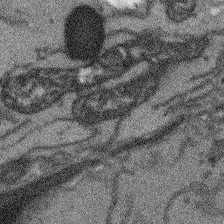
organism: Arabidopsis thaliana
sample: Root tip